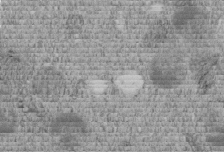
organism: C. elegans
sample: C. elegans embryo early stage